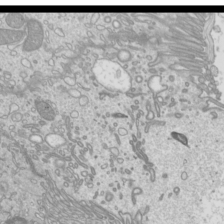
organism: Mouse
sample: Cilia; mouse epididymis